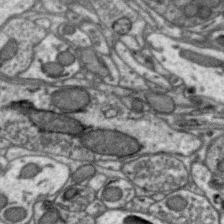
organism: Zebra finch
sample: Brain